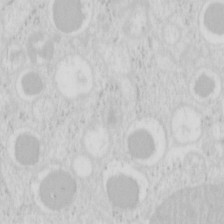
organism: Mouse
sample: Pancreas